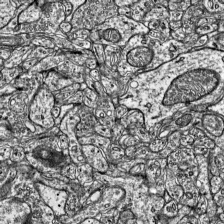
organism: Mouse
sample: Visual Cortex